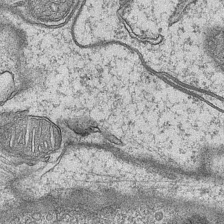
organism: Mouse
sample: CA1 Hippocampus